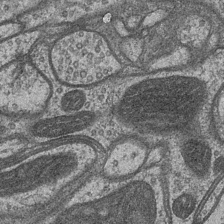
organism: Drosophila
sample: Optic medulla